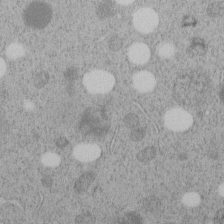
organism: C. elegans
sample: C. elegans embryo early stage